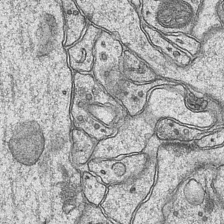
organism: Mouse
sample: CA1 Hippocampus